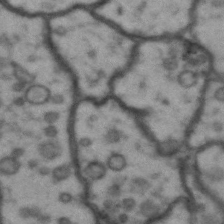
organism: Drosophila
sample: Brain